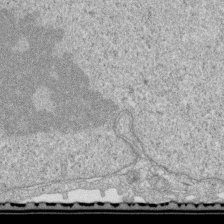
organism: Human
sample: HeLa cell HIV synapse